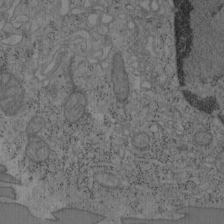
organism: Mouse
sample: OT-I killer T cells with ID8 ovarian cancer cells